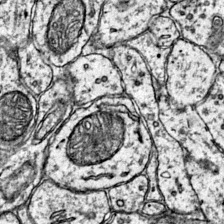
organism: Mouse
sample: Primary visual cortex